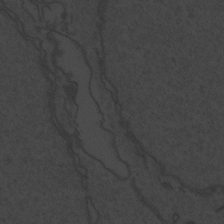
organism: Zebrafish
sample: Macrophage infected with Toxoplasma gondii